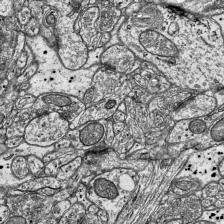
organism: Mouse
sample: Visual Cortex